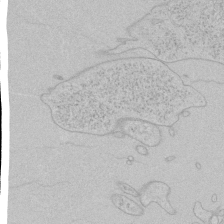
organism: Human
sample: Mitochondria in HCT116 cells